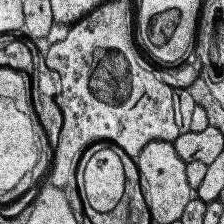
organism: Human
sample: Temporal Lobe